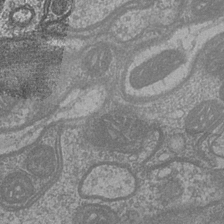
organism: Drosophila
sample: Optic medulla